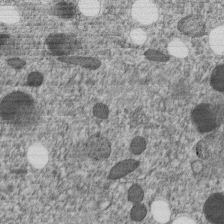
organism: C. elegans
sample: C. elegans embryo early stage